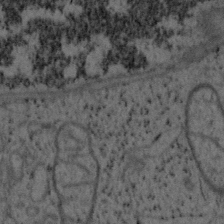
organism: Human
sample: HeLa cells